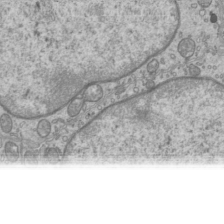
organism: Mouse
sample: Cilia; mouse epididymis